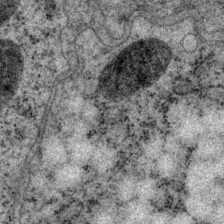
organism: P. pacificus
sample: Pharynx